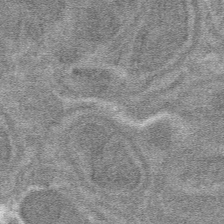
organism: Mouse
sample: Mouse hepatocytes